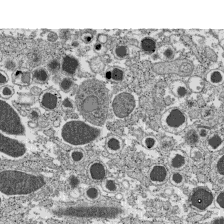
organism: C57BL Mouse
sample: Pancreatic islet